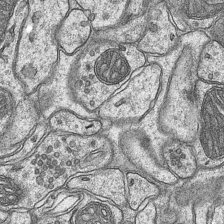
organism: Mouse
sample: CA1 Hippocampus